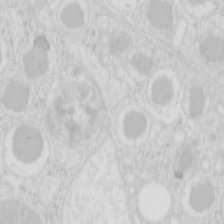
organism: Mouse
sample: Pancreas